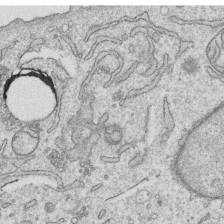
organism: Human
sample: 1205lu cells